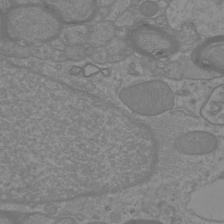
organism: Mouse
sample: Cortical neurons